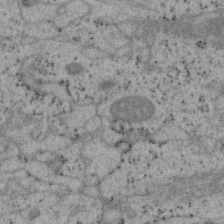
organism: Human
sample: HeLa cells